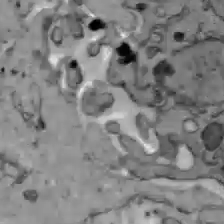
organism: C57BL Mouse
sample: Liver